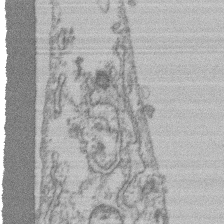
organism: Mouse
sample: T cell stromal cell synapse